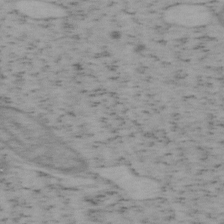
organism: Mouse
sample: OT-I killer T cells with ID8 ovarian cancer cells